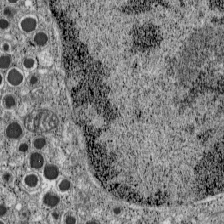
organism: C57BL Mouse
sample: Pancreatic islet